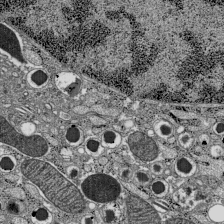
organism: C57BL Mouse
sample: Pancreatic islet